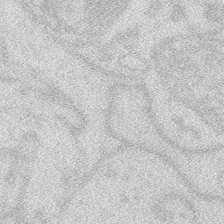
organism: Zebrafish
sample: Macrophage